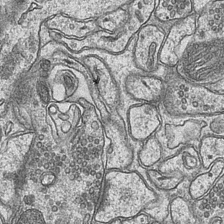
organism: Mouse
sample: CA1 Hippocampus